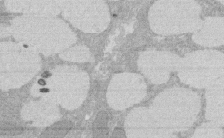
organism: Rat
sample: Salivary granule